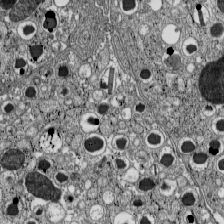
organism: C57BL Mouse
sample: Pancreatic islet